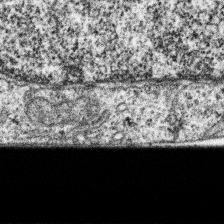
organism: Human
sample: HeLa cells